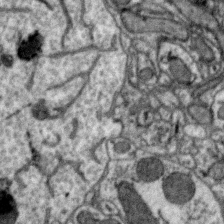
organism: Zebra finch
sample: Brain